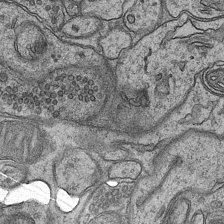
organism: Mouse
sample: CA1 Hippocampus